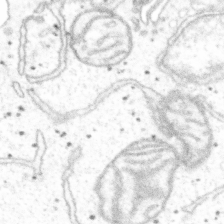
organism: Human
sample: HeLa cells